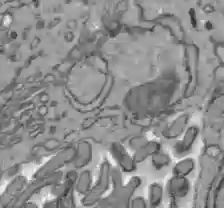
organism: C57BL Mouse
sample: Liver